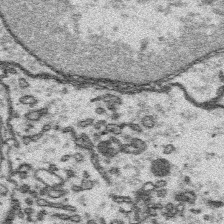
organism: Platynereis dumerilii